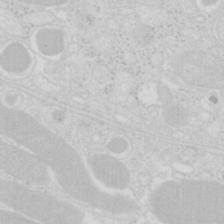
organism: Mouse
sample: Pancreas